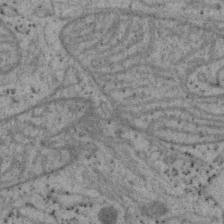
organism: Human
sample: HeLa cells